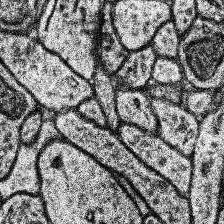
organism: Human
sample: Temporal Lobe